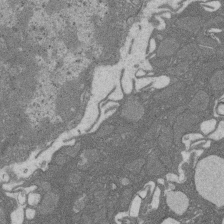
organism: Rat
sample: Salivary granule